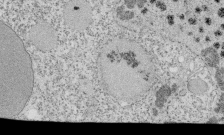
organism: Tetrahymena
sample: Cilia in tetrahymena